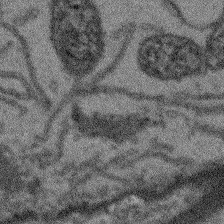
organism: Arabidopsis thaliana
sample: Root tip